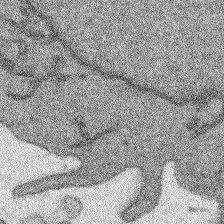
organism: Human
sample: HeLa cells